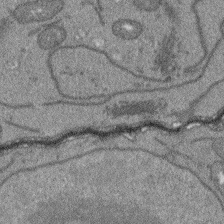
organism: Arabidopsis thaliana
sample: Root tip